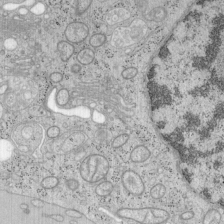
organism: Mouse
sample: OT-I killer T cells with ID8 ovarian cancer cells